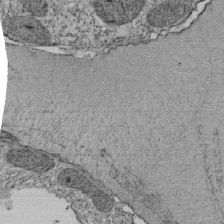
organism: Tetrahymena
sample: Cilia in tetrahymena